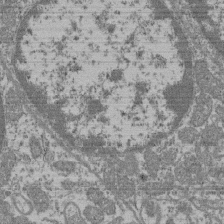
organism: Mouse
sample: Glomerulus